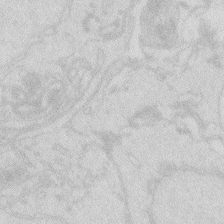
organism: Zebrafish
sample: Macrophage